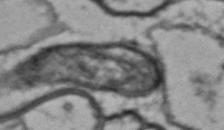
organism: Drosophila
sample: Brain